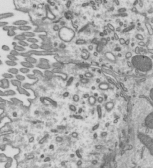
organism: Mouse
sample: Mouse epididymis efferent ductule cilia